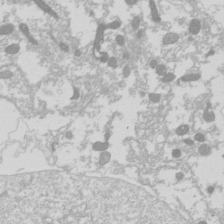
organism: Drosophila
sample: Cell division; meiosis; drosophila spermatocytes